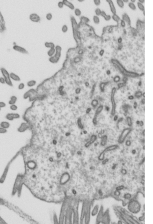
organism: Mouse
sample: Mouse epididymis efferent ductule cilia